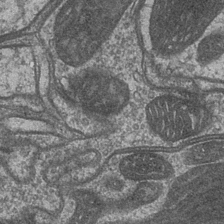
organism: Drosophila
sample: Optic medulla